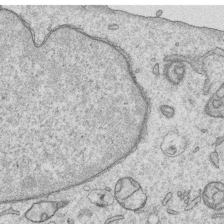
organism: Human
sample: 1205lu cells